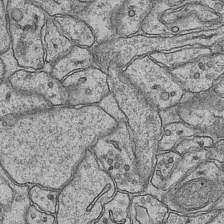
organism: Mouse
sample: CA1 Hippocampus